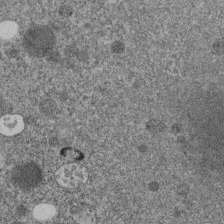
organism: C. elegans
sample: C. elegans embryo early stage